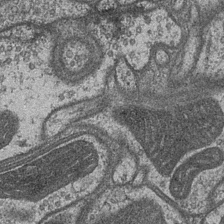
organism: Drosophila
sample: Optic medulla